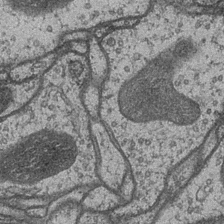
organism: Drosophila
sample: Optic medulla